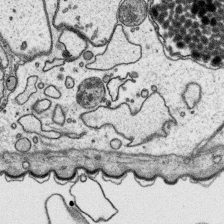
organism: Platynereis dumerilii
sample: Parapodia